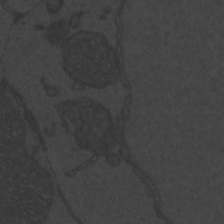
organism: Zebrafish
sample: Macrophage infected with Toxoplasma gondii